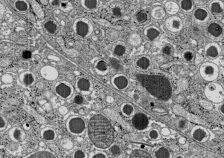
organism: C57BL Mouse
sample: Pancreatic islet